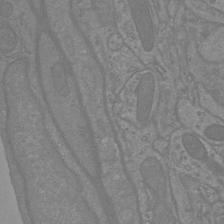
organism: Mouse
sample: Cortical neurons